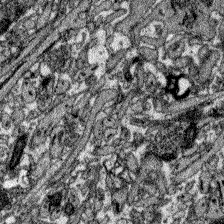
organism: Zebrafish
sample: Larval olfactory bulb